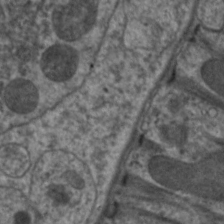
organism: C. elegans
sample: Pharynx